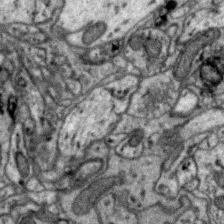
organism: Zebra finch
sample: Brain